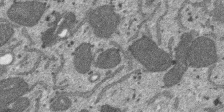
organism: Human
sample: Lung epithelial cells infected with SARS-CoV-2